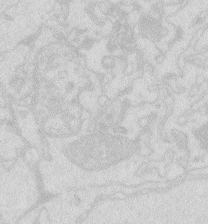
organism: Zebrafish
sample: Macrophage